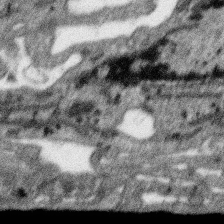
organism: Human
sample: Lung epithelial cells infected with SARS-CoV-2